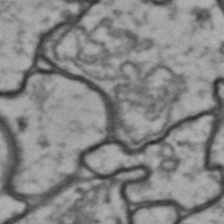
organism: Drosophila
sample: Brain